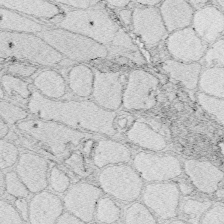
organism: Zebrafish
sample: Whole-Brain